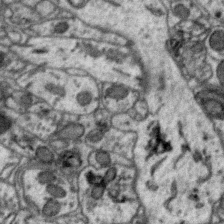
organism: Zebra finch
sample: Brain